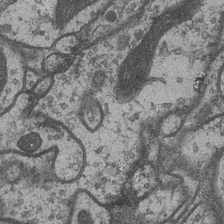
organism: Drosophila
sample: Optic medulla